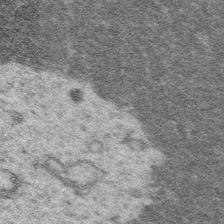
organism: Platynereis dumerilii